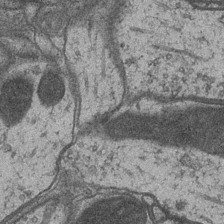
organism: Drosophila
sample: Optic medulla